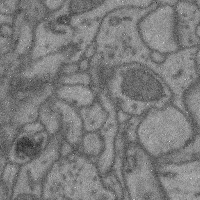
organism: Mouse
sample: Cerebral cortex